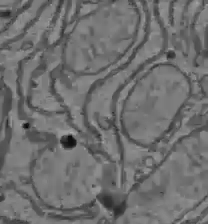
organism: C57BL Mouse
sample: Liver